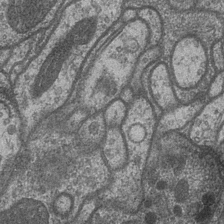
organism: Drosophila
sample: Optic medulla